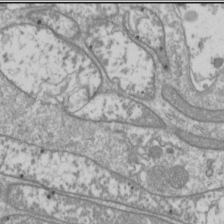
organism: Drosophila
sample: Cell division; meiosis; drosophila spermatocytes